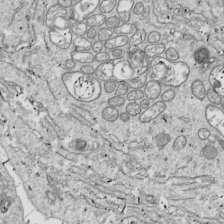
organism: Drosophila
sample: Cell division; meiosis; drosophila spermatocytes